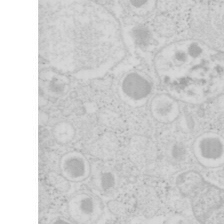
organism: Mouse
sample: Pancreas